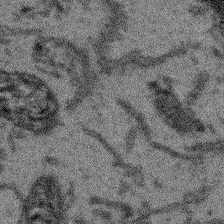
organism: Arabidopsis thaliana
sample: Root tip